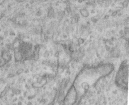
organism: Human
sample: Centriole in RPE cells